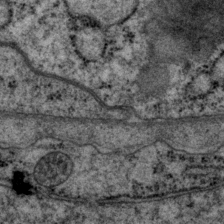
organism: P. pacificus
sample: Pharynx